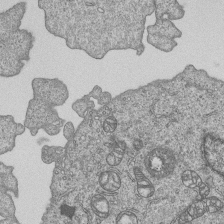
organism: Human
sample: MDA-MB-231 cells